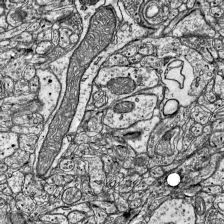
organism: Mouse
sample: Visual Cortex